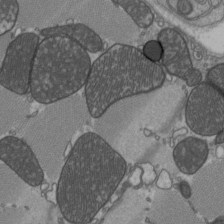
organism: C57BL Mouse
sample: Heart